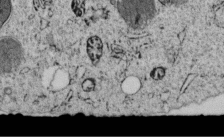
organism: C. elegans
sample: C. elegans embryo early stage